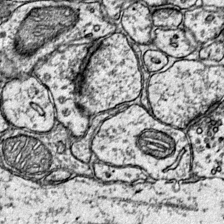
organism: Mouse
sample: Primary visual cortex